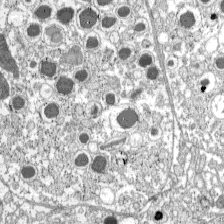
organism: C57BL Mouse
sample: Pancreatic islet